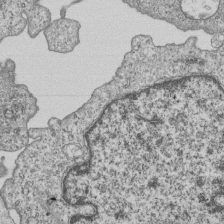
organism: Human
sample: MDA-MB-231 cells